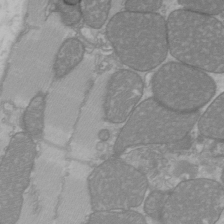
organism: C57BL Mouse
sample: Heart